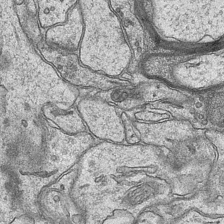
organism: Mouse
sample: CA1 Hippocampus